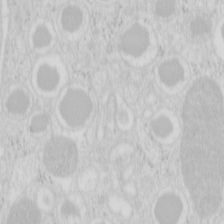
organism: Mouse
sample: Pancreas